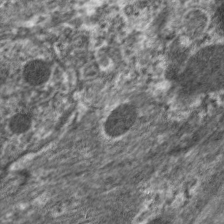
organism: C. elegans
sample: Pharynx